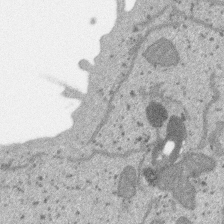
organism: Human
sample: Lung epithelial cells infected with SARS-CoV-2